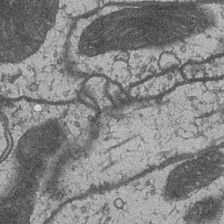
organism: Drosophila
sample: Optic medulla